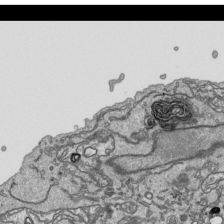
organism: Human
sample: Mitochondria in HCT116 cells